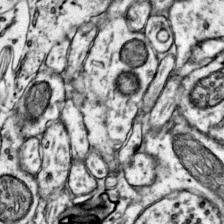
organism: Mouse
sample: Primary visual cortex